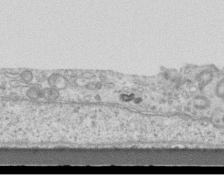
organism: Mouse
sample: Centriole in ependymal cells